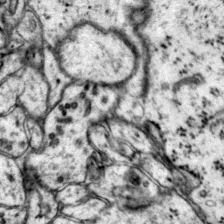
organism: Mouse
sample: Primary visual cortex